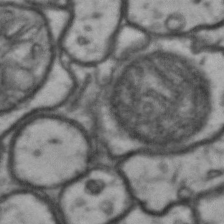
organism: Drosophila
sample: Brain